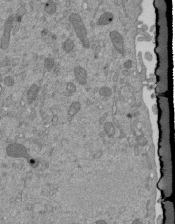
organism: Mouse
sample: ED-1 cell nuclei; centrioles